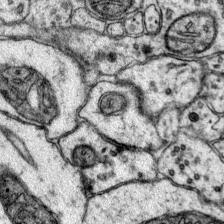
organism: Mouse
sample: Primary visual cortex